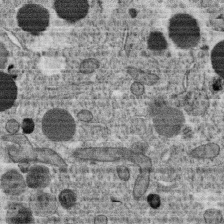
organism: C. elegans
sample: C. elegans oocyte; sperm cells